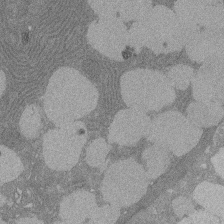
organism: Rat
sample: Salivary granule